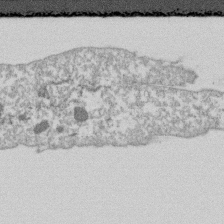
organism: Dictyostelium discoideum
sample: Dictyostelium multivesicular bodies